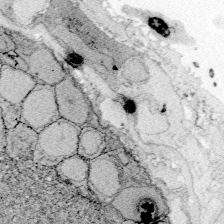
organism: Zebrafish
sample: Whole-Brain